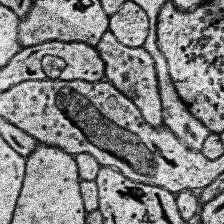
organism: Human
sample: Temporal Lobe